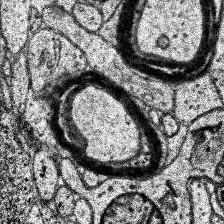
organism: Human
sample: Temporal Lobe